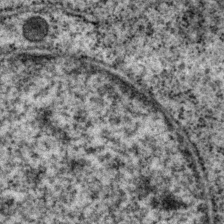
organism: P. pacificus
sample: Pharynx